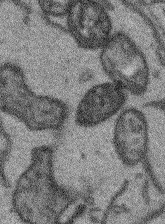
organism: Arabidopsis thaliana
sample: Root tip